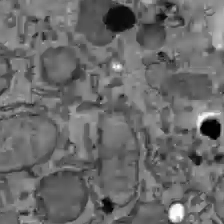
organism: C57BL Mouse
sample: Liver